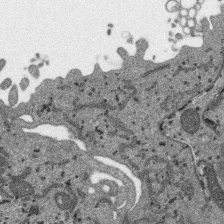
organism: Human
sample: Lung epithelial cells infected with SARS-CoV-2